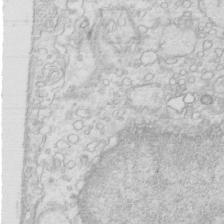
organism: Mouse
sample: Multiciliated cells